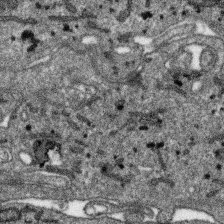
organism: Human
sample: Lung epithelial cells infected with SARS-CoV-2